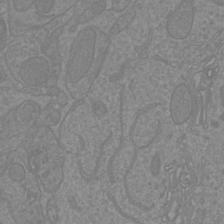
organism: Mouse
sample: Cortical neurons